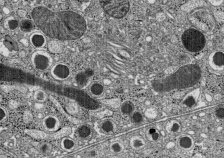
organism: C57BL Mouse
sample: Pancreatic islet